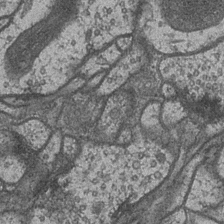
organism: Drosophila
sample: Optic medulla